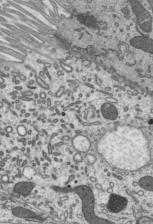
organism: Mouse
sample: Mouse epididymis efferent ductule cilia